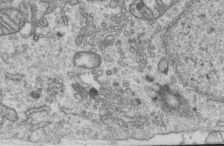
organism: Human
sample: Centriole in RPE cells